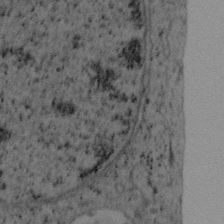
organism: Human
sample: HeLa cells